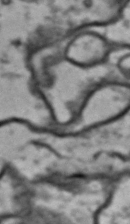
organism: Drosophila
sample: Brain